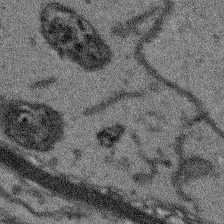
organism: Arabidopsis thaliana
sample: Root tip